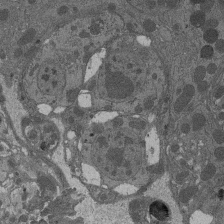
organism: Drosophila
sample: Antenna